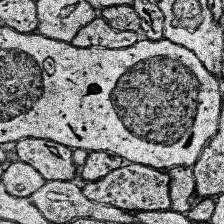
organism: Human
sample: Temporal Lobe